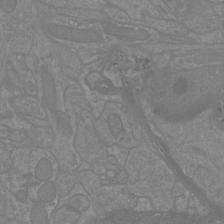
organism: Mouse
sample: Cortical neurons